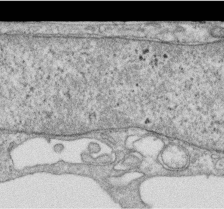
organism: Human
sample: Centriole in RPE cells